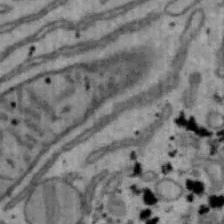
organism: Mouse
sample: Liver